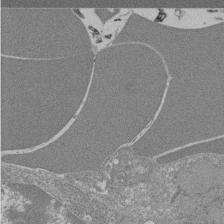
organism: Mouse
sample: Glomerulus